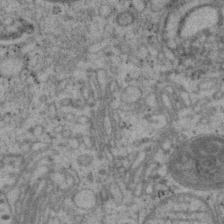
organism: Human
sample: HeLa cells